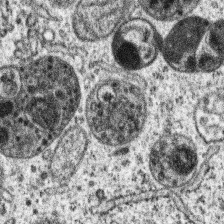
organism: Human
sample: HeLa cells